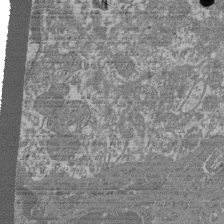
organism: Mouse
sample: Glomerulus